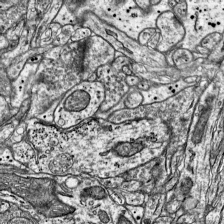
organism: Mouse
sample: Visual Cortex